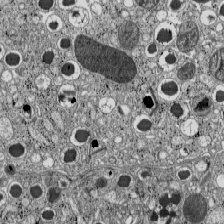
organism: C57BL Mouse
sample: Pancreatic islet